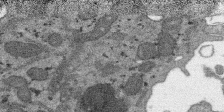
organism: Human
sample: Lung epithelial cells infected with SARS-CoV-2